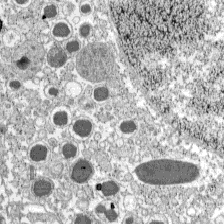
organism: C57BL Mouse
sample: Pancreatic islet